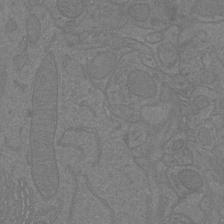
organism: Mouse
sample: Cortical neurons